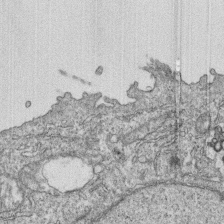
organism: Human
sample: HeLa cell HIV synapse